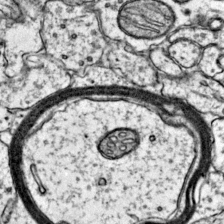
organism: Mouse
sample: Primary visual cortex